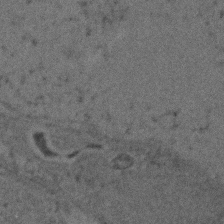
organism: Zebrafish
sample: Zebrafish embryo